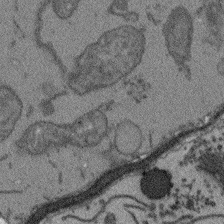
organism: Arabidopsis thaliana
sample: Root tip